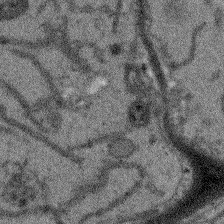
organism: Arabidopsis thaliana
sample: Root tip